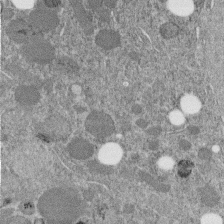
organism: C. elegans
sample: C. elegans embryo early stage